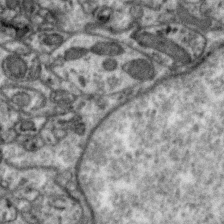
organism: Zebra finch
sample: Brain